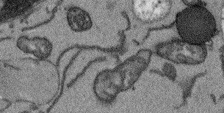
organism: Arabidopsis thaliana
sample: Root tip